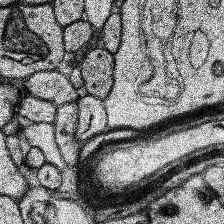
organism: Human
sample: Temporal Lobe